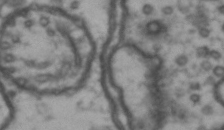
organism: Drosophila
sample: Brain